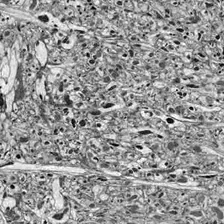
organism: Drosophila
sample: Optic lobe